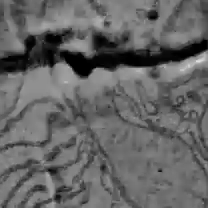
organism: C57BL Mouse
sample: Liver